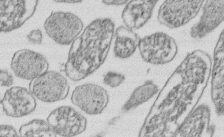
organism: E. coli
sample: Bacterial nucleoid